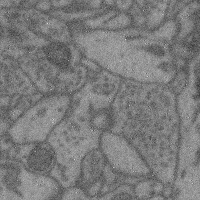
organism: Mouse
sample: Cerebral cortex